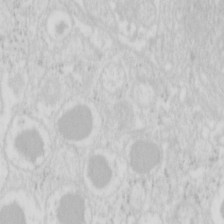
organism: Mouse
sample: Pancreas